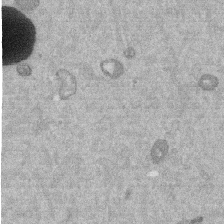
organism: Mouse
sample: Dividing mouse embryo 1 cell stage